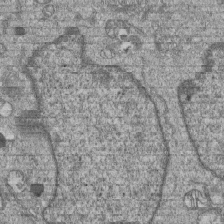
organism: Human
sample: MDA-MB-231 cells